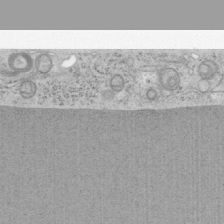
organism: Human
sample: HeLa cells